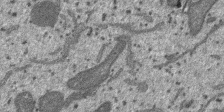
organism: Human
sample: Lung epithelial cells infected with SARS-CoV-2